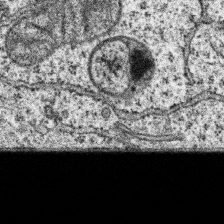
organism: Human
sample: HeLa cells